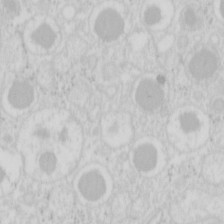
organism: Mouse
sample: Pancreas